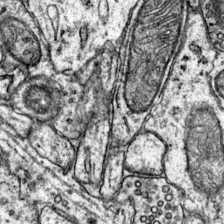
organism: Mouse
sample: Primary visual cortex